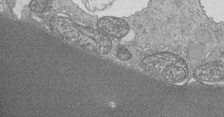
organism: Tetrahymena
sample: Cilia in tetrahymena